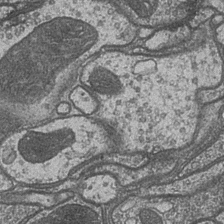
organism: Drosophila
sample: Optic medulla